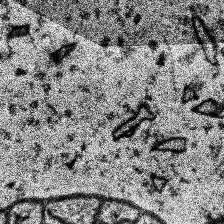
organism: Human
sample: Temporal Lobe